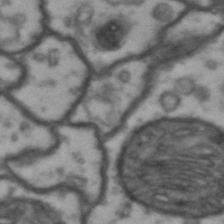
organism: Drosophila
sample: Brain